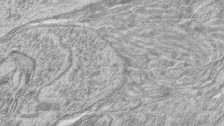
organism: Zebrafish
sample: synaptic ribbons in rod cells and cone cells